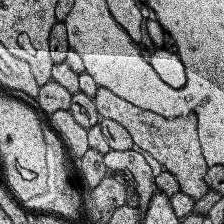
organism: Human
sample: Temporal Lobe